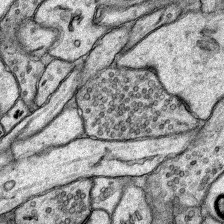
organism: Rat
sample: Hippocampus